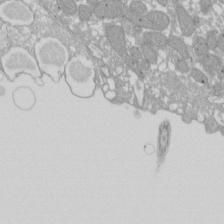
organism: Xenopus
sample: Cilia; centrioles in frog embryo cells